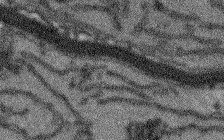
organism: Arabidopsis thaliana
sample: Root tip